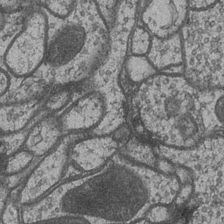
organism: Drosophila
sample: Optic medulla